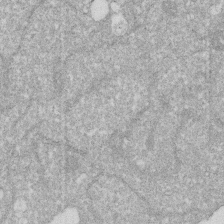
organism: Human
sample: HIV infected U937 cells